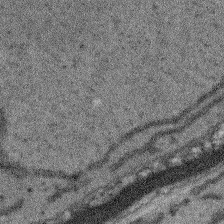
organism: Arabidopsis thaliana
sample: Root tip